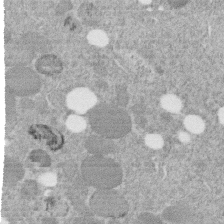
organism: C. elegans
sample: C. elegans embryo early stage